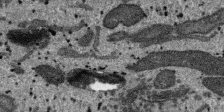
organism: Human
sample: Lung epithelial cells, uninfected (mock) control